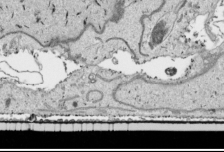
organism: Human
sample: Mitochondria in HCT116 cells